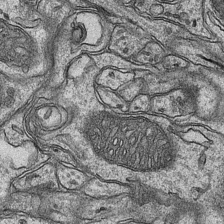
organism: Mouse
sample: CA1 Hippocampus